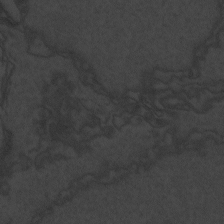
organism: Zebrafish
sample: Macrophage infected with Toxoplasma gondii